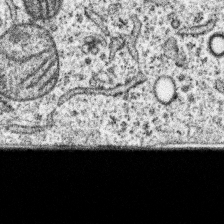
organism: Human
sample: HeLa cells